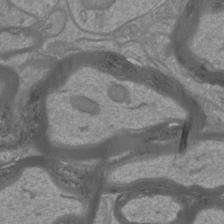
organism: Mouse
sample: Cortical neurons